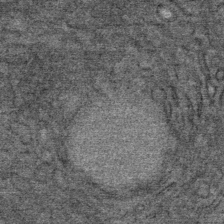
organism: Mouse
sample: Mouse Salivary gland